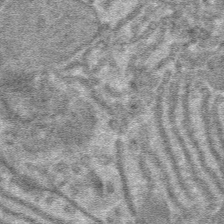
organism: Mouse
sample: Mouse hepatocytes